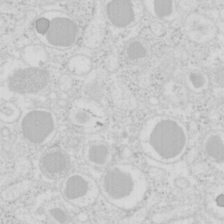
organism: Mouse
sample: Pancreas